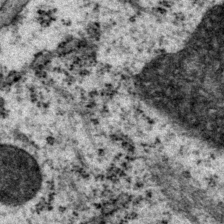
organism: P. pacificus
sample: Pharynx